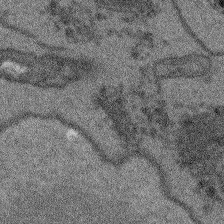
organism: Arabidopsis thaliana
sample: Root tip